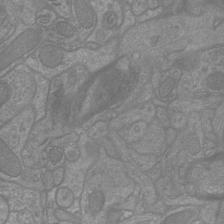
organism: Mouse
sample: Cortical neurons